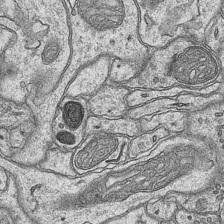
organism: Mouse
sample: CA1 Hippocampus